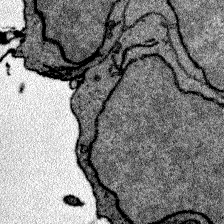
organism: Zebrafish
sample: Larval olfactory bulb